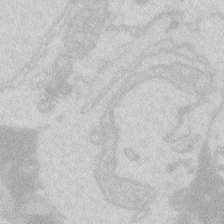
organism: Zebrafish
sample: Macrophage